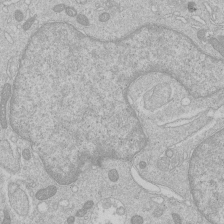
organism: Human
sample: Macrophage cells